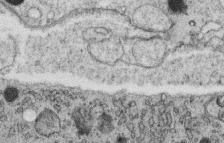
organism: C. elegans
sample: C. elegans oocyte; sperm cells